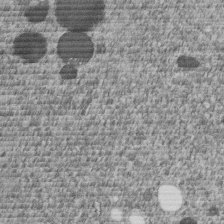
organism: C. elegans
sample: C. elegans embryo early stage